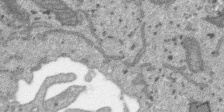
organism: Human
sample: Lung epithelial cells infected with SARS-CoV-2